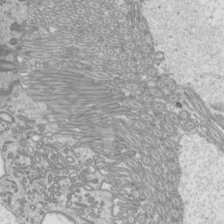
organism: Mouse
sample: Cilia; mouse epididymis